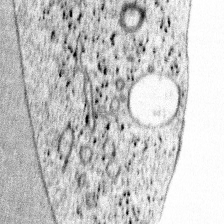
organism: Human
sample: HeLa cells